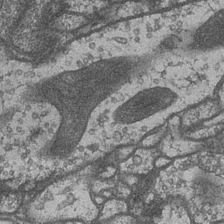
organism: Drosophila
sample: Optic medulla